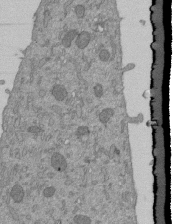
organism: Mouse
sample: ED-1 cell nuclei; centrioles